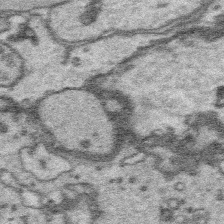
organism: Platynereis dumerilii